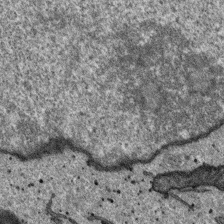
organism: Human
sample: Lung epithelial cells, uninfected (mock) control